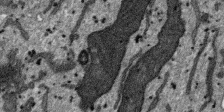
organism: Human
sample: Lung epithelial cells, uninfected (mock) control